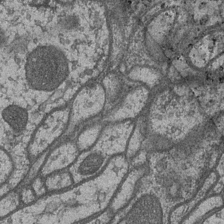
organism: Drosophila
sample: Optic medulla